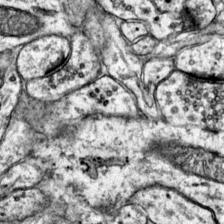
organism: Mouse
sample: Primary visual cortex